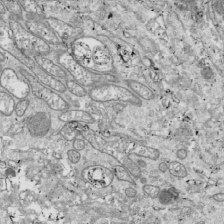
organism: Drosophila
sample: Cell division; meiosis; drosophila spermatocytes